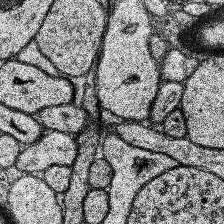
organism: Human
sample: Temporal Lobe